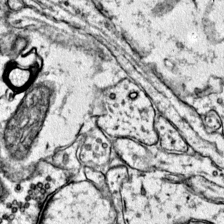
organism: Mouse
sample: Primary visual cortex